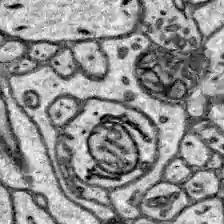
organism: Zebrafish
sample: Brain